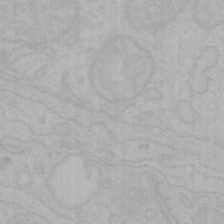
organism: Mouse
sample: Choroid plexus